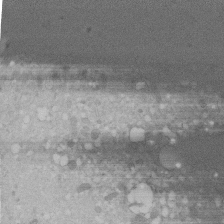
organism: Human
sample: Melanocyte Keratinocyte synapse skin construct